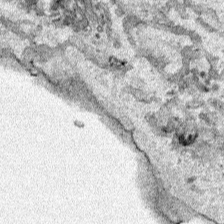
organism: Human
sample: Mitochondria in HCT116 cells